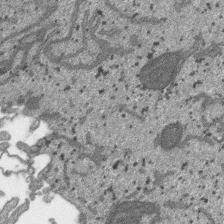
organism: Human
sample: Lung epithelial cells infected with SARS-CoV-2